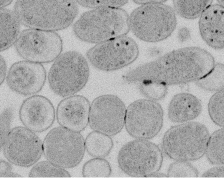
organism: E. coli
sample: Bacterial nucleoid